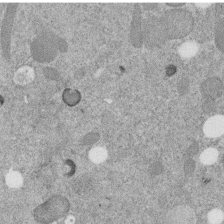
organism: C. elegans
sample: C. elegans embryo early stage